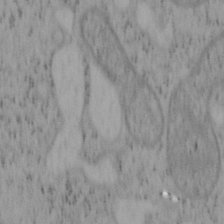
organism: Mouse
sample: OT-I killer T cells with ID8 ovarian cancer cells